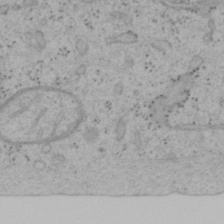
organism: Human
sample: HeLa cells